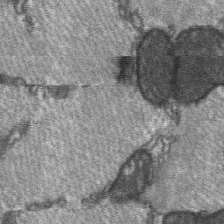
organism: C57BL Mouse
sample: Soleus